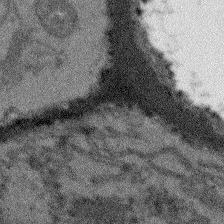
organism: Arabidopsis thaliana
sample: Root tip